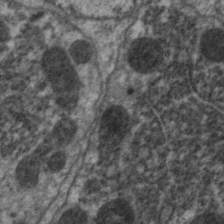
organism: C. elegans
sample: Pharynx